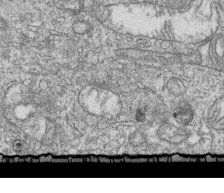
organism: Human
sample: HeLa cell HIV synapse